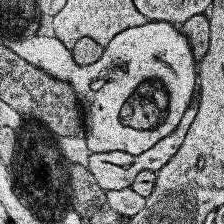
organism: Human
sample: Temporal Lobe